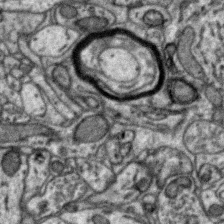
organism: Zebra finch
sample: Brain